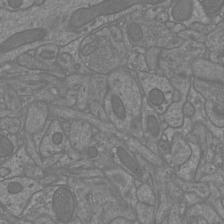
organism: Mouse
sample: Cortical neurons